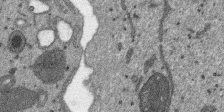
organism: Human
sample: Lung epithelial cells infected with SARS-CoV-2